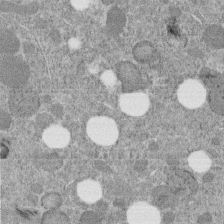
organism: C. elegans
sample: C. elegans embryo early stage